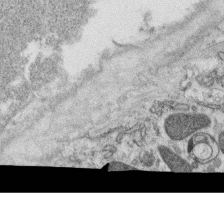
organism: C. elegans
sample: C. elegans oocyte; sperm cells